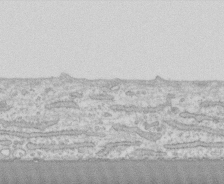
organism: Human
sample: CRL-1474